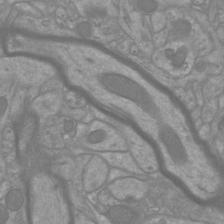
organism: Mouse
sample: Cortical neurons